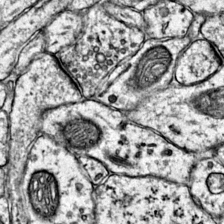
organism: Mouse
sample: Primary visual cortex